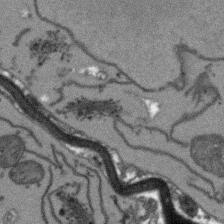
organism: Arabidopsis thaliana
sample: Root tip